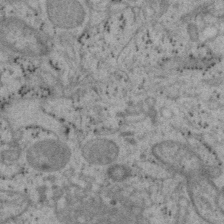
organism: Human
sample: HeLa cells